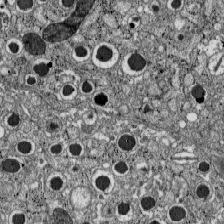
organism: C57BL Mouse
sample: Pancreatic islet